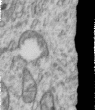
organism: Human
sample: Centriole in RPE cells